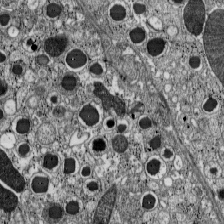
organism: C57BL Mouse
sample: Pancreatic islet